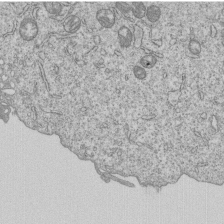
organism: Human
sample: MDA-MB-231 cells